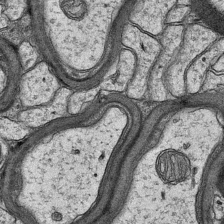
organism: Mouse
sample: CA1 Hippocampus